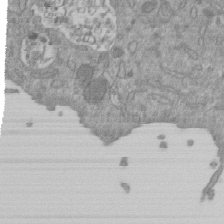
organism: Mouse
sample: ED-1 cell nuclei; centrioles